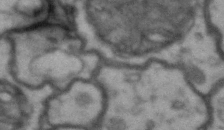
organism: Drosophila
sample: Brain